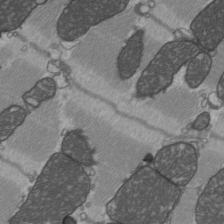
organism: C57BL Mouse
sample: Heart